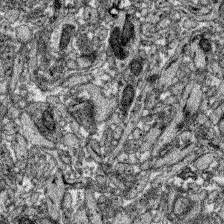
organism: Zebrafish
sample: Larval olfactory bulb